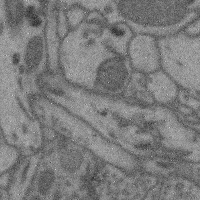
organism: Mouse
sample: Cerebral cortex